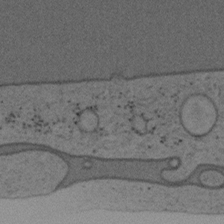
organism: Human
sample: HeLa cells